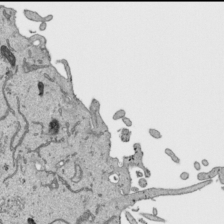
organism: Human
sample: Mitochondria in HCT116 cells